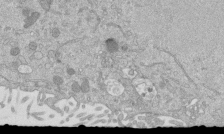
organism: Mouse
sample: ED-1 cell nuclei; centrioles